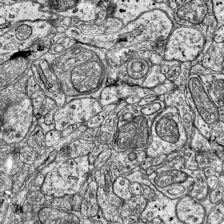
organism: Mouse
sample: Visual Cortex